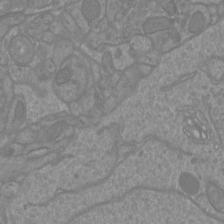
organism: Mouse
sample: Cortical neurons